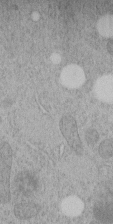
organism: C. elegans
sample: C. elegans embryo early stage